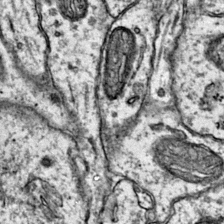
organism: Mouse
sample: Primary visual cortex